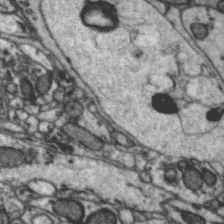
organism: Zebra finch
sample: Brain